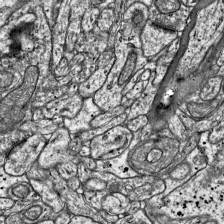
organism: Mouse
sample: Visual Cortex